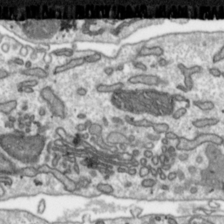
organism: Toxoplasma gondii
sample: Parasites in a vacuole inside a host cell